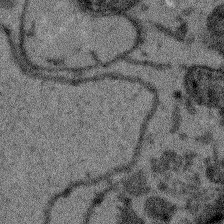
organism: Arabidopsis thaliana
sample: Root tip